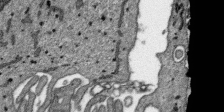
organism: Human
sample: Lung epithelial cells, uninfected (mock) control